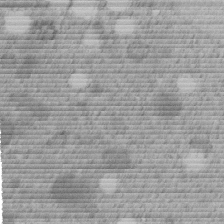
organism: C. elegans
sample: C. elegans embryo early stage